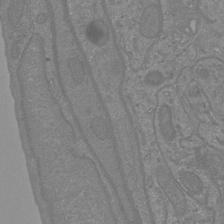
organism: Mouse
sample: Cortical neurons